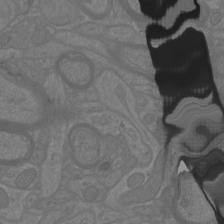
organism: Mouse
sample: Cortical neurons